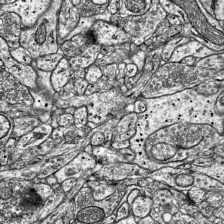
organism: Mouse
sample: Visual Cortex